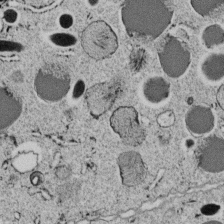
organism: C. elegans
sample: C. elegans embryo early stage